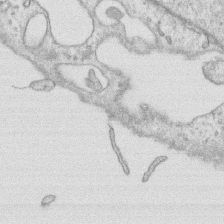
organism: Human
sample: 1205lu cells